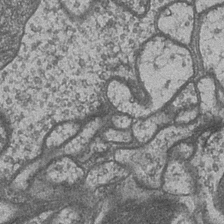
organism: Drosophila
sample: Optic medulla